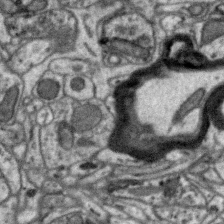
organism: Zebra finch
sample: Brain